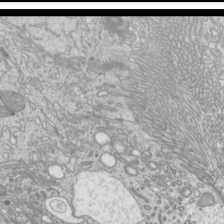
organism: Mouse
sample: Cilia; mouse epididymis